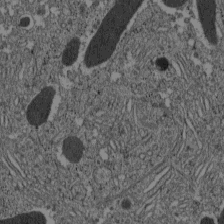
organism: C57BL Mouse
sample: Pancreatic islet